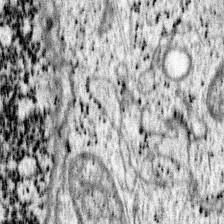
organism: Human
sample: HeLa cells